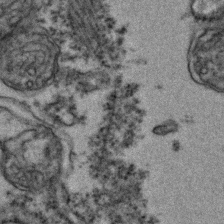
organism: Zebrafish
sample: Zebrafish embryo